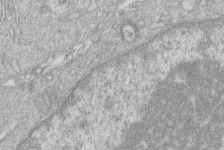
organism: Human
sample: Macrophage cells